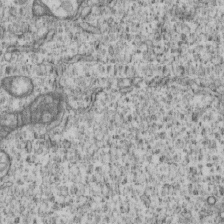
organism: Human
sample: MDA-MB-231 cells